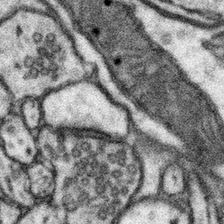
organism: Mouse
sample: Somatosensory cortex neuropil